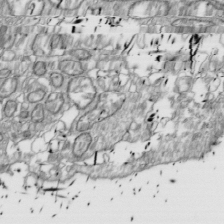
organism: Drosophila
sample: Cell division; meiosis; drosophila spermatocytes